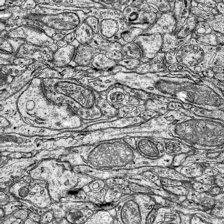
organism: Mouse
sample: Visual Cortex